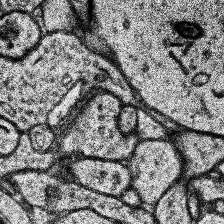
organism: Human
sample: Temporal Lobe